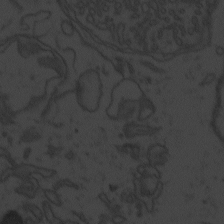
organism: Zebrafish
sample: Macrophage infected with Toxoplasma gondii